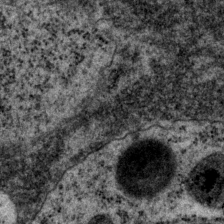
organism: P. pacificus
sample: Pharynx